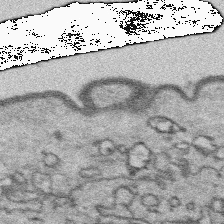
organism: Platynereis dumerilii